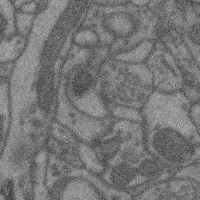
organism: Mouse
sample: Cerebral cortex